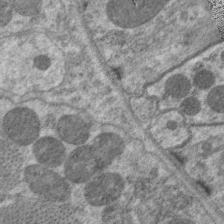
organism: C. elegans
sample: Pharynx